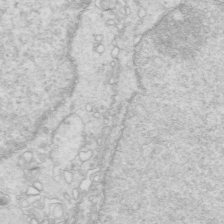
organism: Mouse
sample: Multiciliated cells